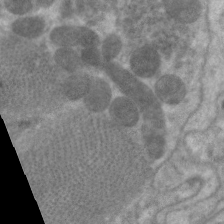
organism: C. elegans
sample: Pharynx